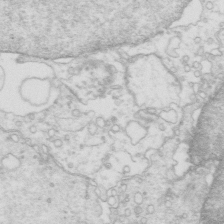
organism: Mouse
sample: Multiciliated cells